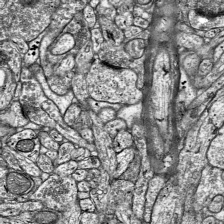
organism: Mouse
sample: Visual Cortex